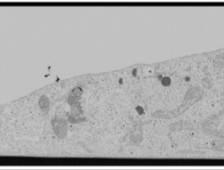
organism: Human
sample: Mitochondria in U2OS cells